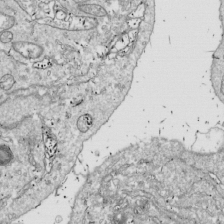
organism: Drosophila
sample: Cell division; meiosis; drosophila spermatocytes